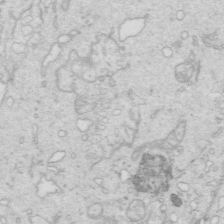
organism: Mouse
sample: Multiciliated cells